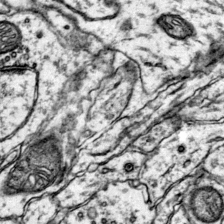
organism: Mouse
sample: Primary visual cortex